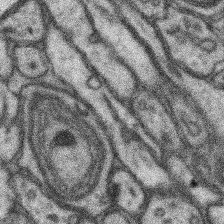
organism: Mouse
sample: Somatosensory cortex neuropil